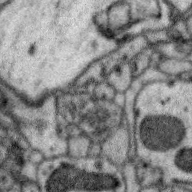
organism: Zebra finch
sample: Brain